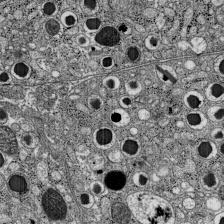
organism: C57BL Mouse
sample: Pancreatic islet